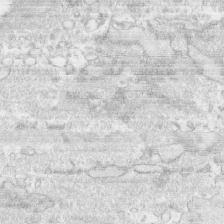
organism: Human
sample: CRL-1474